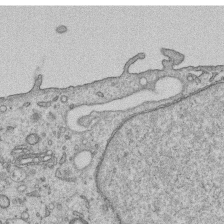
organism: Human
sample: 1205lu cells